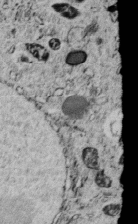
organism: C. elegans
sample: C. elegans embryo early stage